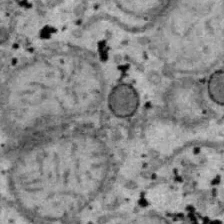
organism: Mouse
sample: Liver from an obese (ob/ob) mouse